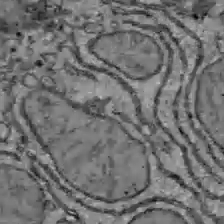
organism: C57BL Mouse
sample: Liver